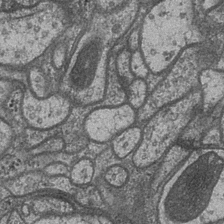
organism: Drosophila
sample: Optic medulla